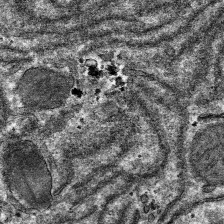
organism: Mouse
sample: Mouse hepatocytes